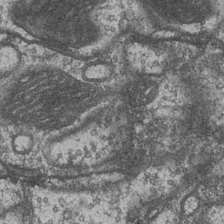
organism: Drosophila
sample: Optic medulla